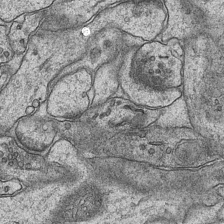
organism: Mouse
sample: CA1 Hippocampus